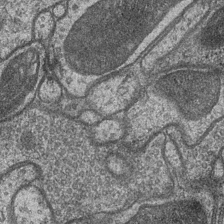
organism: Drosophila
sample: Optic medulla